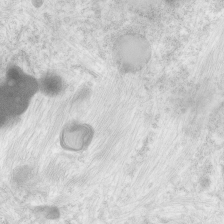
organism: Human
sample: Neocortex